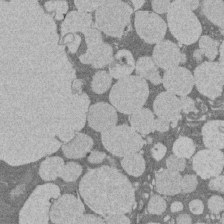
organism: Rat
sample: Salivary granule